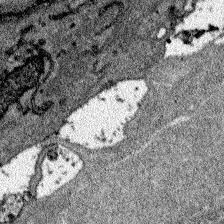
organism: Zebrafish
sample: Larval olfactory bulb